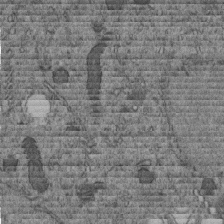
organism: C. elegans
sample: C. elegans embryo early stage